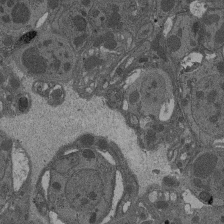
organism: Drosophila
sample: Antenna